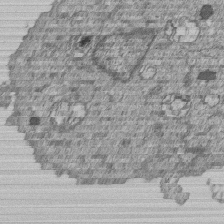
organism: Human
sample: MDA-MB-231 cells